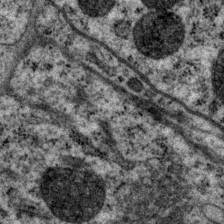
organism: P. pacificus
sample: Pharynx